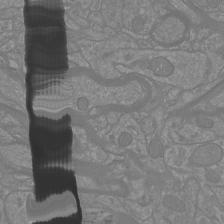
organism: Mouse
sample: Cortical neurons